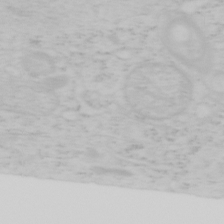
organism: Mouse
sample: OT-I killer T cells with ID8 ovarian cancer cells